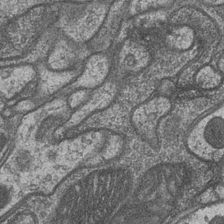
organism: Drosophila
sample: Optic medulla